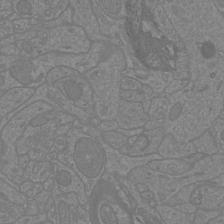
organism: Mouse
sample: Cortical neurons